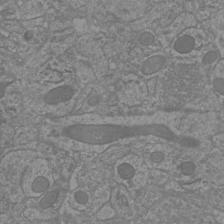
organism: Mouse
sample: Cortical neurons